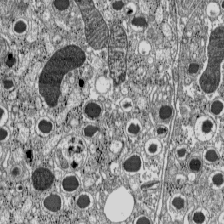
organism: C57BL Mouse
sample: Pancreatic islet